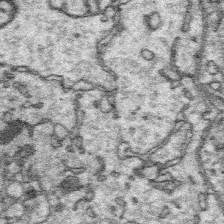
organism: Platynereis dumerilii